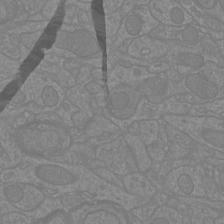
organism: Mouse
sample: Cortical neurons